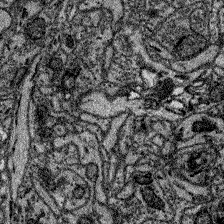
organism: Zebrafish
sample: Larval olfactory bulb